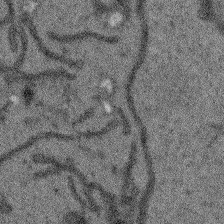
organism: Arabidopsis thaliana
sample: Root tip